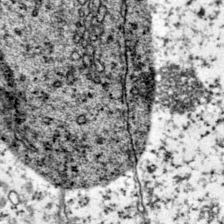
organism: Mouse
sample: Primary visual cortex